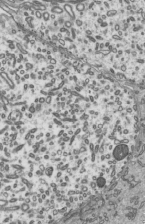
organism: Mouse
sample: Mouse epididymis efferent ductule cilia